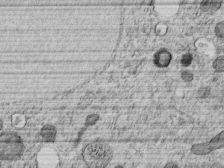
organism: C. elegans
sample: C. elegans embryo early stage